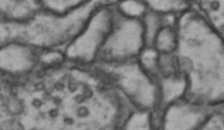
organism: Drosophila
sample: Brain